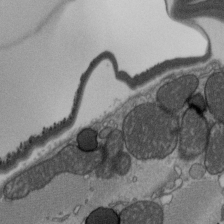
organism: C57BL Mouse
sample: Heart